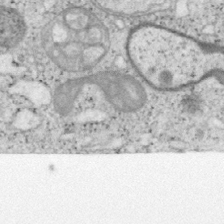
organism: Mouse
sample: OT-I killer T cells with ID8 ovarian cancer cells